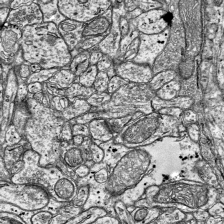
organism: Mouse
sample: Visual Cortex